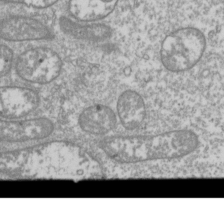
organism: Drosophila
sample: Cell division; meiosis; drosophila spermatocytes